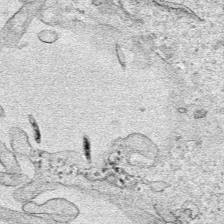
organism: Human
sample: Mitochondria in HCT116 cells